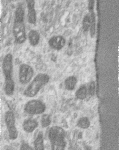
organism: Human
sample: Centriole in RPE cells